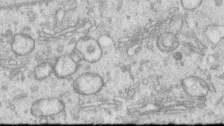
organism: Human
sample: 1205lu cells